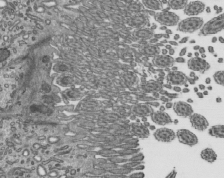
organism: Mouse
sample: Mouse epididymis efferent ductule cilia